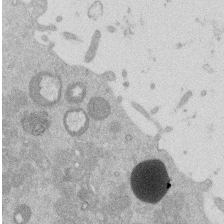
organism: Mouse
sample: Dividing mouse embryo 1 cell stage